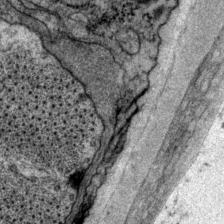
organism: P. pacificus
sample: Pharynx